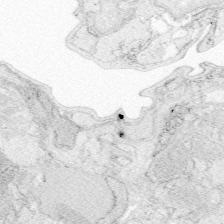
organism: Zebrafish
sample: Whole-Brain